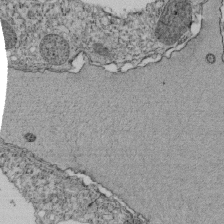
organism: Tetrahymena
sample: Cilia in tetrahymena